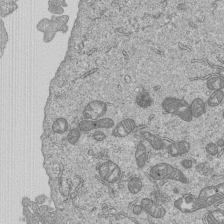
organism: Human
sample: MDA-MB-231 cells